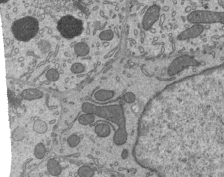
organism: Mouse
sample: Mouse epididymis efferent ductule cilia